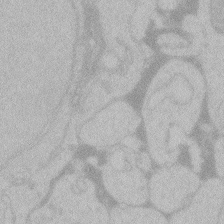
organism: Zebrafish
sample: Macrophage infected with Toxoplasma gondii